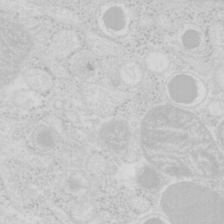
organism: Mouse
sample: Pancreas